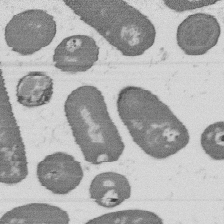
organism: B. subtilis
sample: Bacterial spore